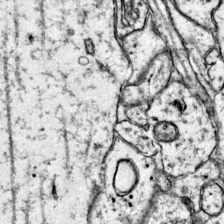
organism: Mouse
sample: Primary visual cortex